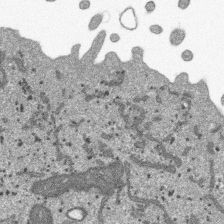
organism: Human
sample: Lung epithelial cells infected with SARS-CoV-2